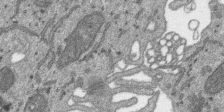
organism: Human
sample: Lung epithelial cells infected with SARS-CoV-2